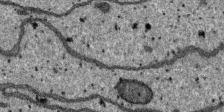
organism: Human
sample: Lung epithelial cells, uninfected (mock) control